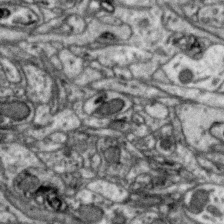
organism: Zebra finch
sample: Brain